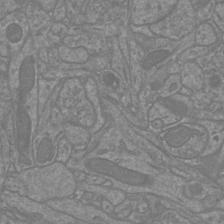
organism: Mouse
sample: Cortical neurons